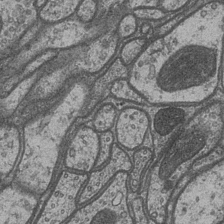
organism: Drosophila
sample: Optic medulla